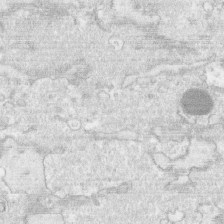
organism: Human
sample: CRL-1474